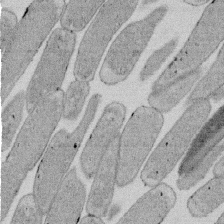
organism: E. coli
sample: Bacterial nucleoid